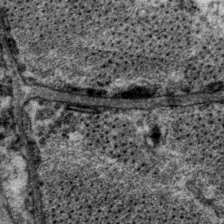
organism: P. pacificus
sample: Pharynx